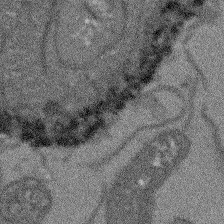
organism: Arabidopsis thaliana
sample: Root tip